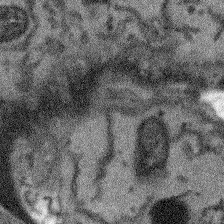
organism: Arabidopsis thaliana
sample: Root tip